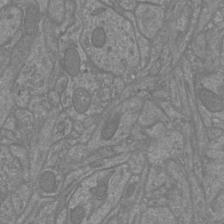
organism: Mouse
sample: Cortical neurons